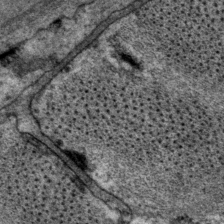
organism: P. pacificus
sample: Pharynx